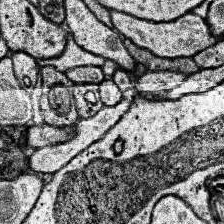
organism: Human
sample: Temporal Lobe